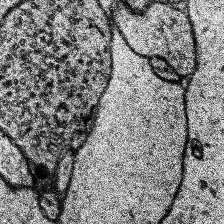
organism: Human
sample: Temporal Lobe